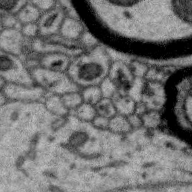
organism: Zebra finch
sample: Brain